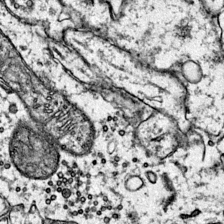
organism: Mouse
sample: Primary visual cortex